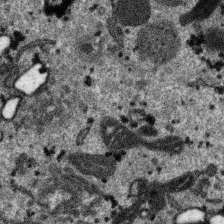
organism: Human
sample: Lung epithelial cells infected with SARS-CoV-2